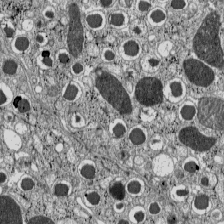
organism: C57BL Mouse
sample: Pancreatic islet